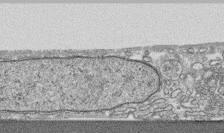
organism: Human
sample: CRL-1474